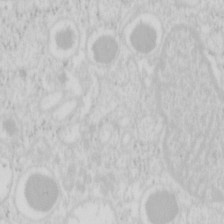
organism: Mouse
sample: Pancreas